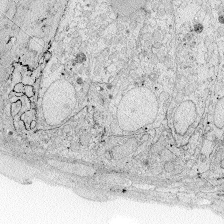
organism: Zebrafish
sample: Whole-Brain